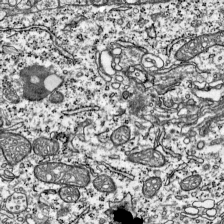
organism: Mouse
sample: Visual Cortex